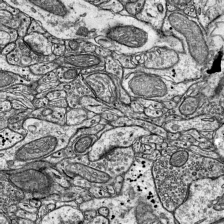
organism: Mouse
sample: Visual Cortex